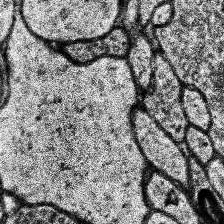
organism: Human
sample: Temporal Lobe